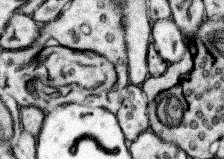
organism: Mouse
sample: Somatosensory cortex neuropil